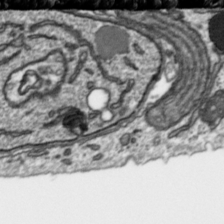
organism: Toxoplasma gondii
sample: Parasites in a vacuole inside a host cell